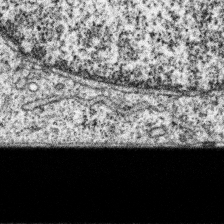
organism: Human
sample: HeLa cells